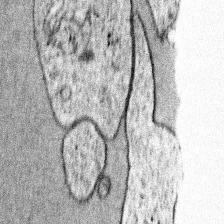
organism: Human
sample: HeLa cells